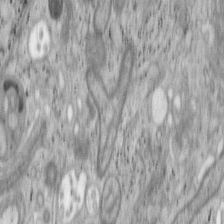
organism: Human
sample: HeLa cells